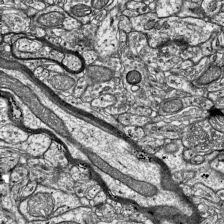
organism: Mouse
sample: Visual Cortex